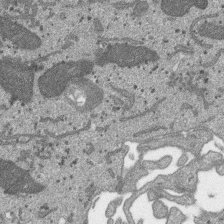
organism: Human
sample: Lung epithelial cells infected with SARS-CoV-2